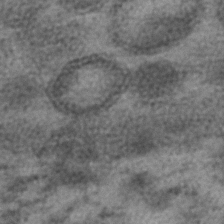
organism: C. elegans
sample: C. elegans embryo